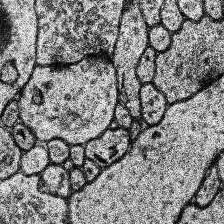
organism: Human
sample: Temporal Lobe